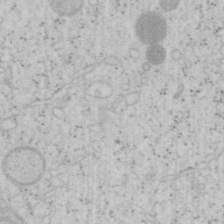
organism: Human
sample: HeLa cells